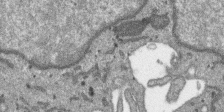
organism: Human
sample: Lung epithelial cells infected with SARS-CoV-2